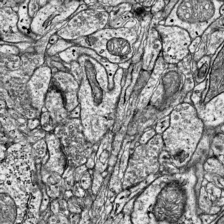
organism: Mouse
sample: Visual Cortex